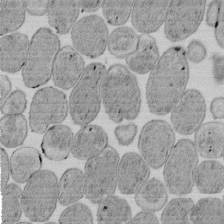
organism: E. coli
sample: Bacterial nucleoid